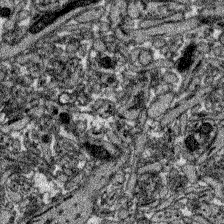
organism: Zebrafish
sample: Larval olfactory bulb